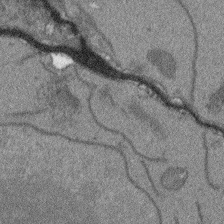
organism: Arabidopsis thaliana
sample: Root tip